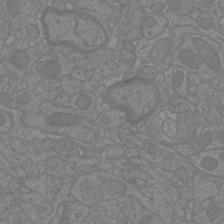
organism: Mouse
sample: Cortical neurons